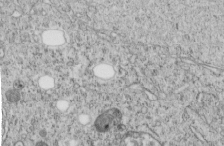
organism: C. elegans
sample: C. elegans embryo early stage